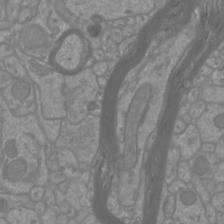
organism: Mouse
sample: Cortical neurons